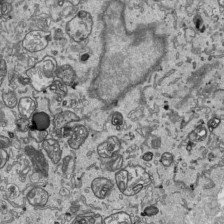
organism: Human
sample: Mitochondria in HCT116 cells